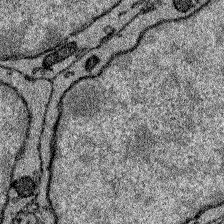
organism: Zebrafish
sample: Larval olfactory bulb